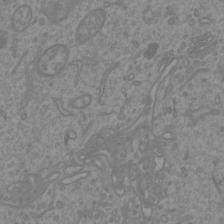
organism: Mouse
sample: Cortical neurons